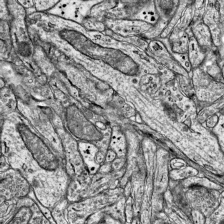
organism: Mouse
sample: Visual Cortex